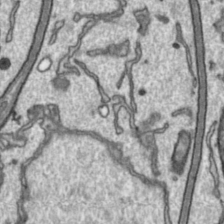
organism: Toxoplasma gondii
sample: Parasites in a vacuole inside a host cell